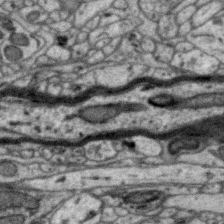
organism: Zebra finch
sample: Brain